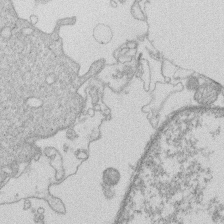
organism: Human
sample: Macrophage cells